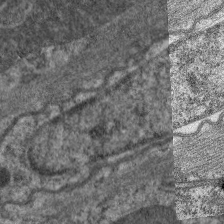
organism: C. elegans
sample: Pharynx